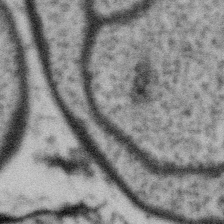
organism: Gemmata obscuriglobus